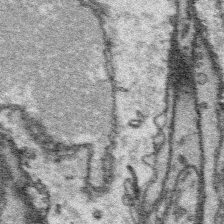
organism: Platynereis dumerilii